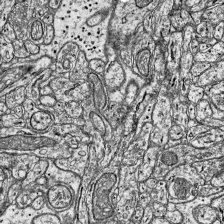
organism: Mouse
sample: Visual Cortex